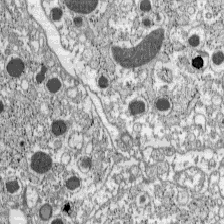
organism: C57BL Mouse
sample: Pancreatic islet